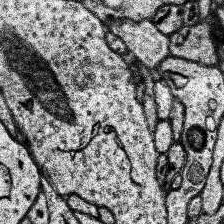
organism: Human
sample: Temporal Lobe